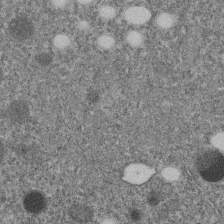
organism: C. elegans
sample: C. elegans embryo early stage